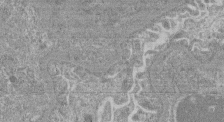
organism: Mouse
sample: Glomerulus